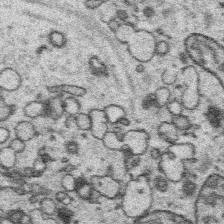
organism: Platynereis dumerilii